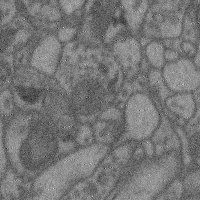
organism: Mouse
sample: Cerebral cortex